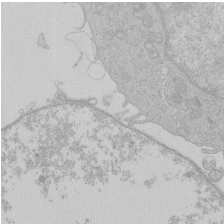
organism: Human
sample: Macrophage cells